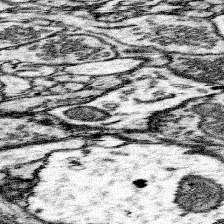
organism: Mouse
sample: Somatosensory cortex neuropil